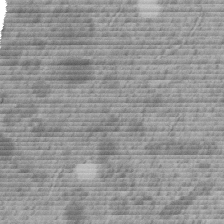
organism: C. elegans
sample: C. elegans embryo early stage